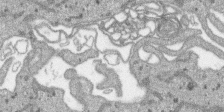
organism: Human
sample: Lung epithelial cells infected with SARS-CoV-2